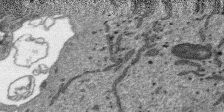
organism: Human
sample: Lung epithelial cells infected with SARS-CoV-2